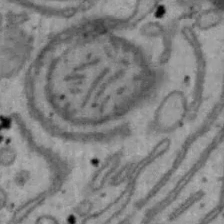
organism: Mouse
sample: Liver